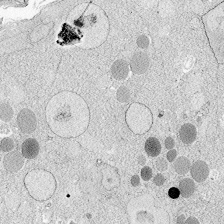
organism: Zebrafish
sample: Whole-Brain